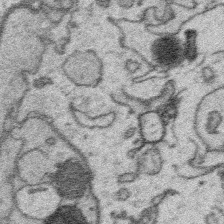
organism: Platynereis dumerilii